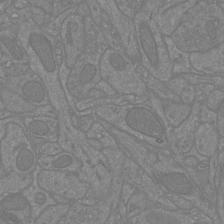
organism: Mouse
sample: Cortical neurons